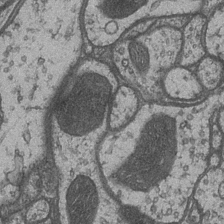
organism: Drosophila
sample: Optic medulla